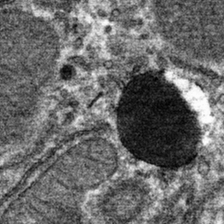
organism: Mouse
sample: Mouse hepatocytes